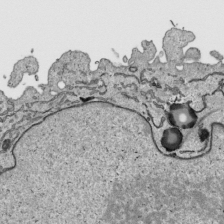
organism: Human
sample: Mitochondria in HCT116 cells